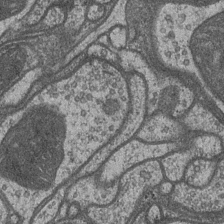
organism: Drosophila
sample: Optic medulla